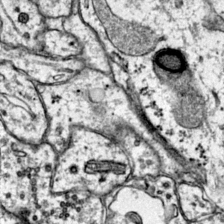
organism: Mouse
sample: Primary visual cortex